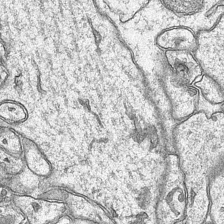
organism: Mouse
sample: CA1 Hippocampus